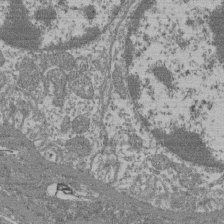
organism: Mouse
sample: Glomerulus